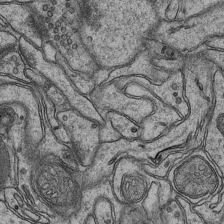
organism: Mouse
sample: CA1 Hippocampus